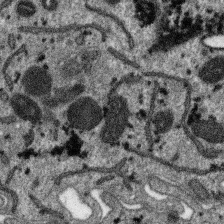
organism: Human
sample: Lung epithelial cells infected with SARS-CoV-2